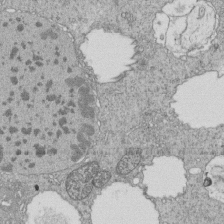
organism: Tetrahymena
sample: Cilia in tetrahymena